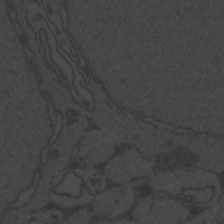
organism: Zebrafish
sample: Macrophage infected with Toxoplasma gondii